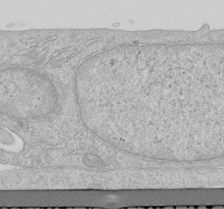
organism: Human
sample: Centriole in RPE cells